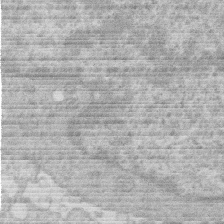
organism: Human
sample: Macrophage cells